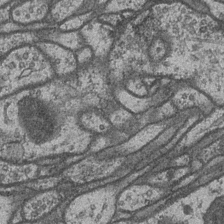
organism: Drosophila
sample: Optic medulla